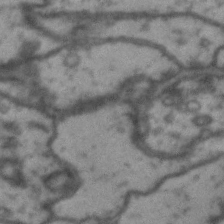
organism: Drosophila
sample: Brain